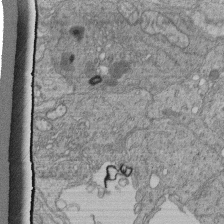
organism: Human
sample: Retinal organoid Rod and Cone cells